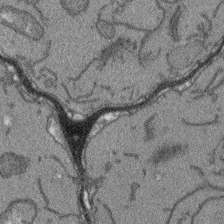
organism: Arabidopsis thaliana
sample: Root tip